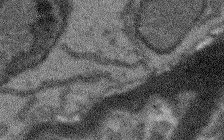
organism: Arabidopsis thaliana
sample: Root tip